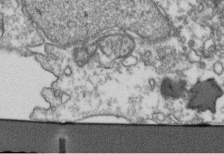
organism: Human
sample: Activated Jurkat CD4+ T cells